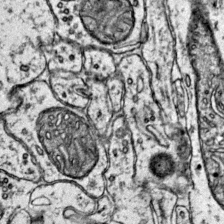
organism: Mouse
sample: Primary visual cortex